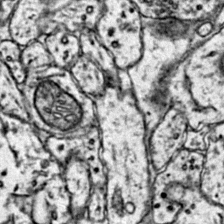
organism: Mouse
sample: Primary visual cortex